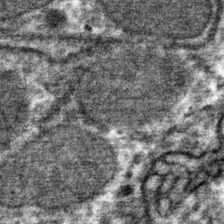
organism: Mouse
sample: Mouse hepatocytes